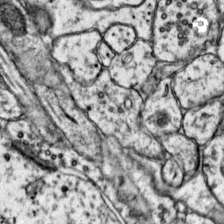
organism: Mouse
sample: Primary visual cortex